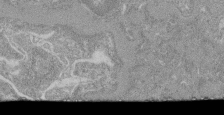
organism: Mouse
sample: Glomerulus